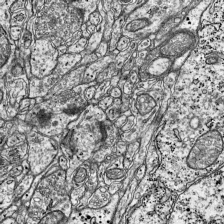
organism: Mouse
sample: Visual Cortex